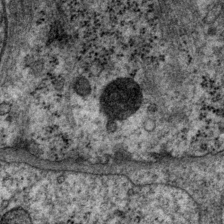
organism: P. pacificus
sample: Pharynx